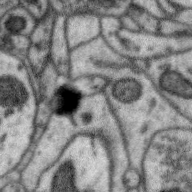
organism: Zebra finch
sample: Brain